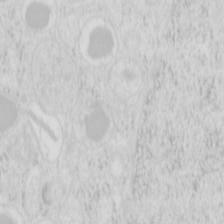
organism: Mouse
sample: Pancreas